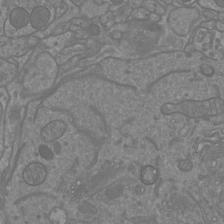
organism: Mouse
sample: Cortical neurons